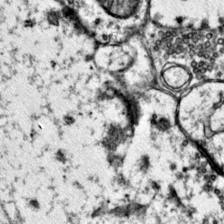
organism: Mouse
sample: Primary visual cortex